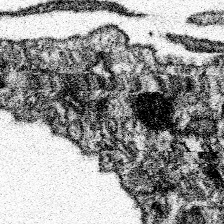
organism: Spongilla lacustris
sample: Neuroid cell